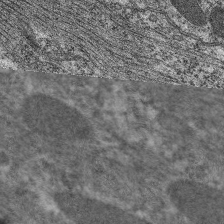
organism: C. elegans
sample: Pharynx